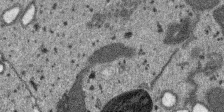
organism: Human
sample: Lung epithelial cells infected with SARS-CoV-2